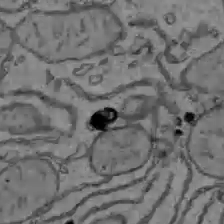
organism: C57BL Mouse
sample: Liver